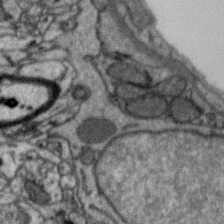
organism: Zebra finch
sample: Brain